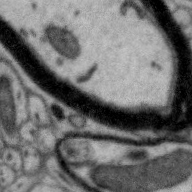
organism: Zebra finch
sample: Brain